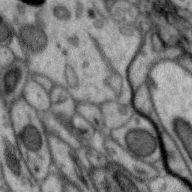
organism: Zebra finch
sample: Brain